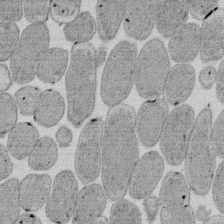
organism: E. coli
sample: Bacterial nucleoid